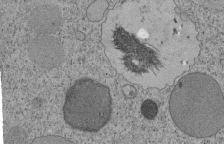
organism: Tetrahymena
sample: Cilia in tetrahymena